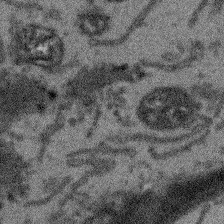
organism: Arabidopsis thaliana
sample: Root tip